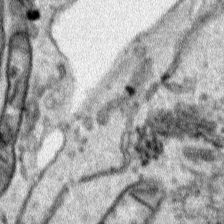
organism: Human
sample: Mitochondria in HCT116 cells